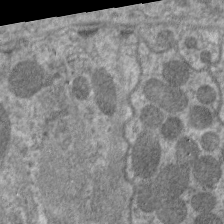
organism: C. elegans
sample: Pharynx